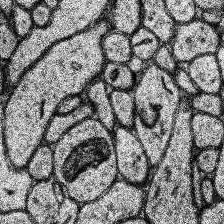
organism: Human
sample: Temporal Lobe